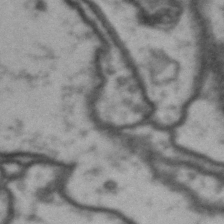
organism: Drosophila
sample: Brain